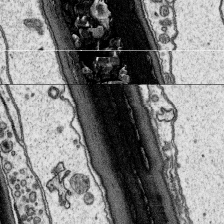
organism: Platynereis dumerilii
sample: Parapodia